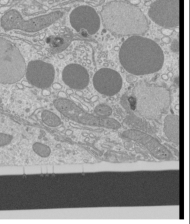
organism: Mouse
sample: Cilia; mouse epididymis